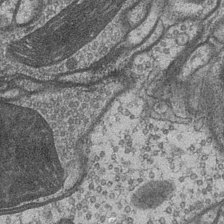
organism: Drosophila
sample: Optic medulla